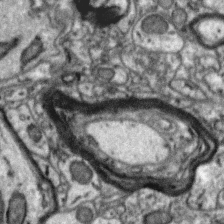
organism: Zebra finch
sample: Brain